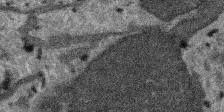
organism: Human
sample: Lung epithelial cells infected with SARS-CoV-2